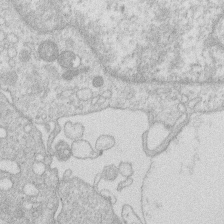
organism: Human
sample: Macrophage cells